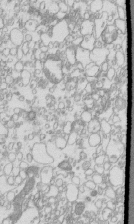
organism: Mouse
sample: Macrophages